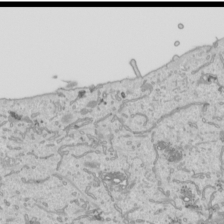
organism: Human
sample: Mitochondria in HCT116 cells